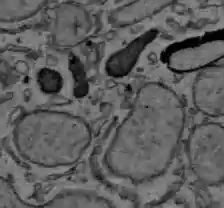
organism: C57BL Mouse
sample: Liver